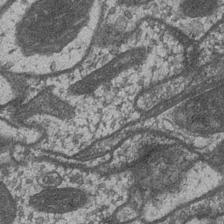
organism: Drosophila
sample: Optic medulla